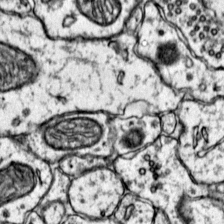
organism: Mouse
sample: Primary visual cortex